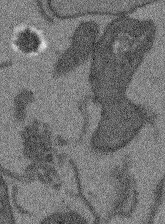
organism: Arabidopsis thaliana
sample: Root tip